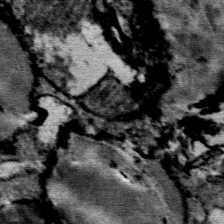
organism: Mouse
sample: Mouse Salivary gland